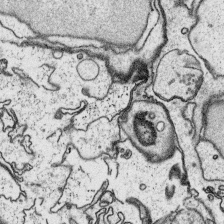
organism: Platynereis dumerilii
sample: Parapodia